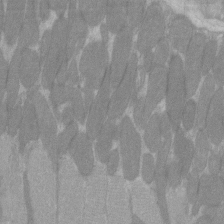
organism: C57BL Mouse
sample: Tibialis anterior muscle cell